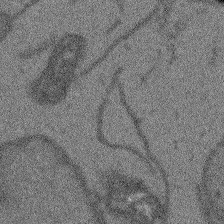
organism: Arabidopsis thaliana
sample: Root tip